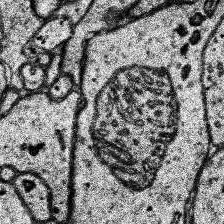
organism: Human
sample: Temporal Lobe